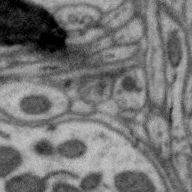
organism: Zebra finch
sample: Brain